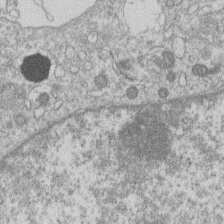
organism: Human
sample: Macrophage cells